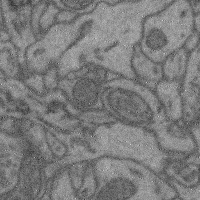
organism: Mouse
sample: Cerebral cortex